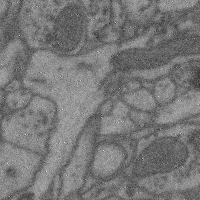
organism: Mouse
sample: Cerebral cortex